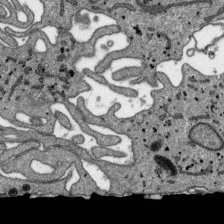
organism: Human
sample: Lung epithelial cells, uninfected (mock) control